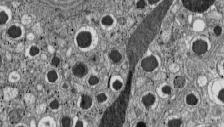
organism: C57BL Mouse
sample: Pancreatic islet